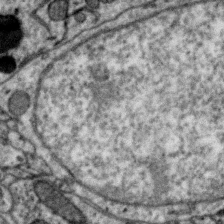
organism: Zebra finch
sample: Brain